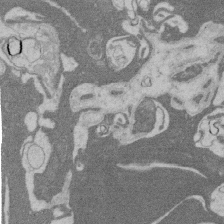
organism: Rat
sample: Salivary granule